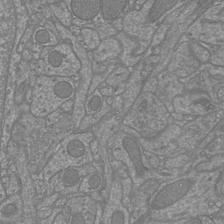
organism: Mouse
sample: Cortical neurons